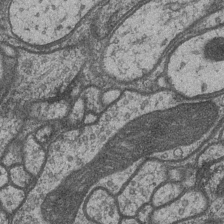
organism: Drosophila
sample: Optic medulla